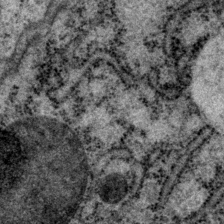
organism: P. pacificus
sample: Pharynx